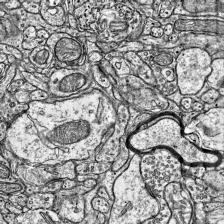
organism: Mouse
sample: Visual Cortex